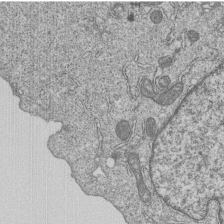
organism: Human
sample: MDA-MB-231 cells